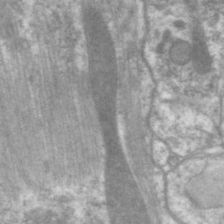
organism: C. elegans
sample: Pharynx